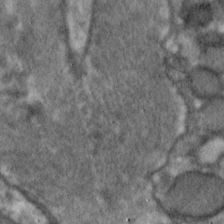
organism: C. elegans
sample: Pharynx